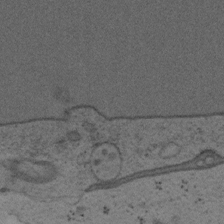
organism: Human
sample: HeLa cells